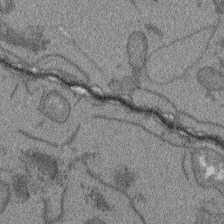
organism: Arabidopsis thaliana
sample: Root tip